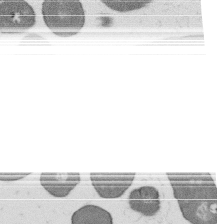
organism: B. subtilis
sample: Bacterial spore